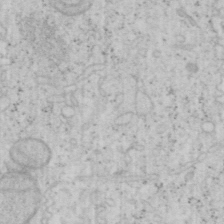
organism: Human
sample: HeLa cells